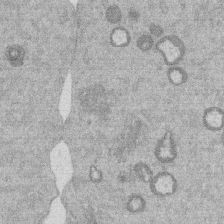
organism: Mouse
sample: Dividing mouse embryo 1 cell stage